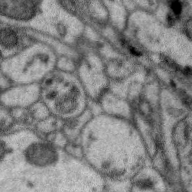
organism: Zebra finch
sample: Brain